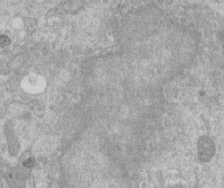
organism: Human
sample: Centriole in RPE cells